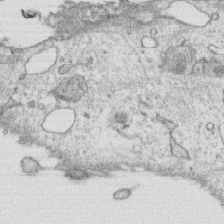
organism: Human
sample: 1205lu cells